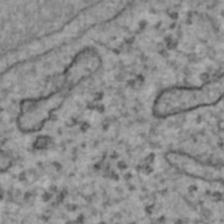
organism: Human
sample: Blood